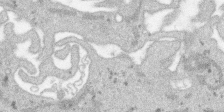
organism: Human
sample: Lung epithelial cells infected with SARS-CoV-2